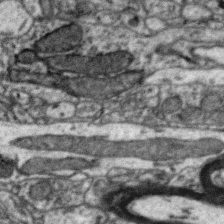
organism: Zebra finch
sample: Brain